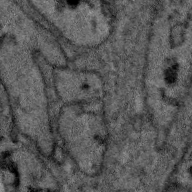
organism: Zebra finch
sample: Brain